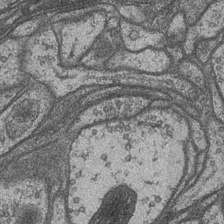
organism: Drosophila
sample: Optic medulla